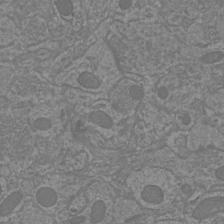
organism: Mouse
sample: Cortical neurons